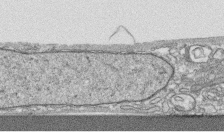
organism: Human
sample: CRL-1474